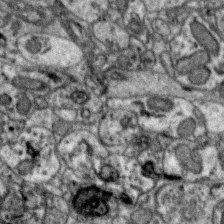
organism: Zebra finch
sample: Brain